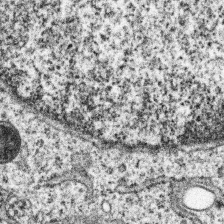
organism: Human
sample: HeLa cells